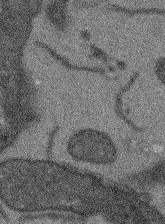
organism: Arabidopsis thaliana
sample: Root tip